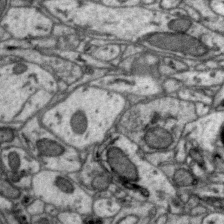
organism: Zebra finch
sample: Brain